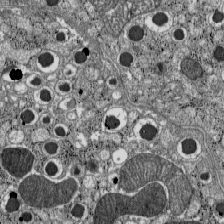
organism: C57BL Mouse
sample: Pancreatic islet